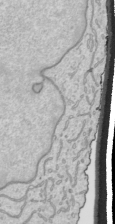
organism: Human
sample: Mitochondria in HCT116 cells